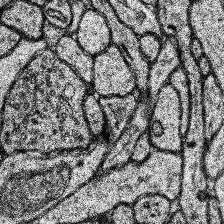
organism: Human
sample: Temporal Lobe